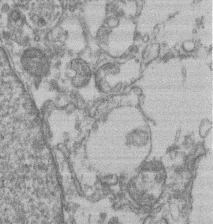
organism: Mouse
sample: T cell stromal cell synapse